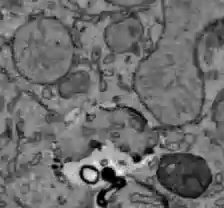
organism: C57BL Mouse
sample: Liver